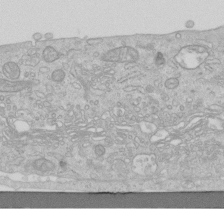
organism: Human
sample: Centriole in RPE cells